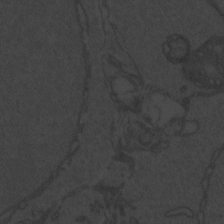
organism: Zebrafish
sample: Macrophage infected with Toxoplasma gondii